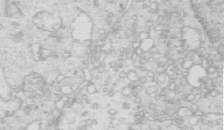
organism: Mouse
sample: Multiciliated cells